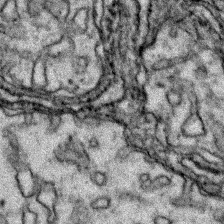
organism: Zebrafish